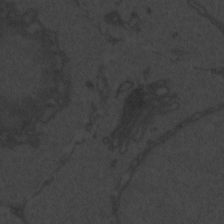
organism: Zebrafish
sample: Macrophage infected with Toxoplasma gondii